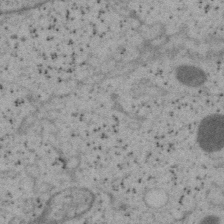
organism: Human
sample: HeLa cells